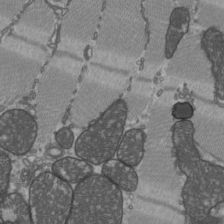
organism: C57BL Mouse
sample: Heart